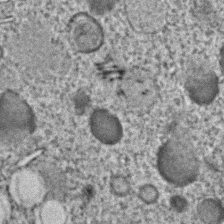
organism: C. elegans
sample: C. elegans embryo